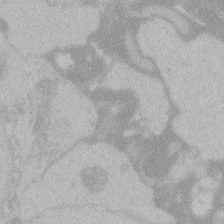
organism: Zebrafish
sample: Macrophage infected with Toxoplasma gondii